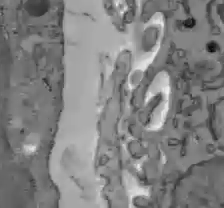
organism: C57BL Mouse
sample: Liver